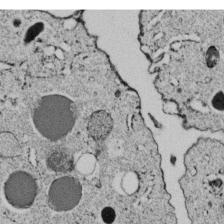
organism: C. elegans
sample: C. elegans embryo early stage